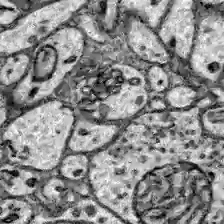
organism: Zebrafish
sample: Brain